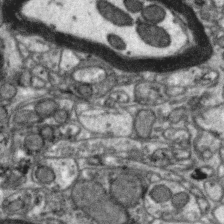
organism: Zebra finch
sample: Brain